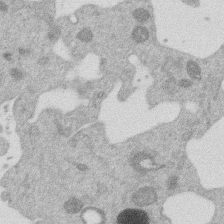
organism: Mouse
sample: Dividing mouse embryo 1 cell stage